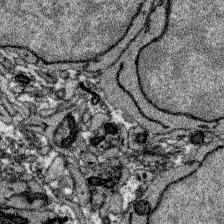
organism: Zebrafish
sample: Larval olfactory bulb